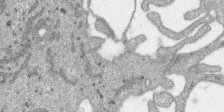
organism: Human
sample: Lung epithelial cells infected with SARS-CoV-2